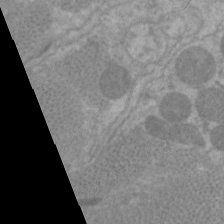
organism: C. elegans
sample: Pharynx